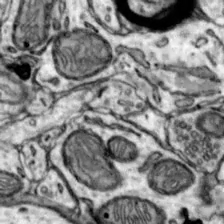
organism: Mouse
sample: Nucleus accumbens